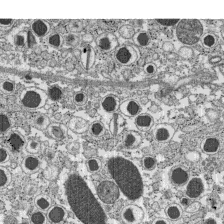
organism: C57BL Mouse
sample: Pancreatic islet